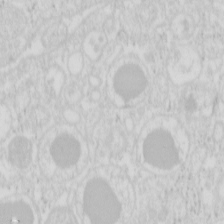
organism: Mouse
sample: Pancreas